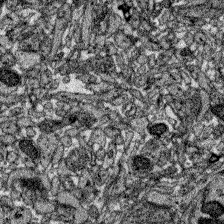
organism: Zebrafish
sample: Larval olfactory bulb